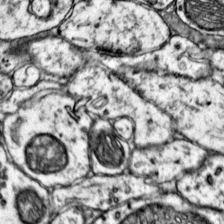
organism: Mouse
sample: Primary visual cortex